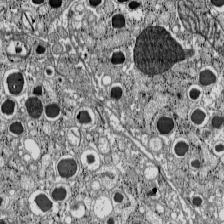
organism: C57BL Mouse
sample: Pancreatic islet